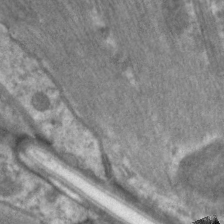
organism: C. elegans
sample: Pharynx